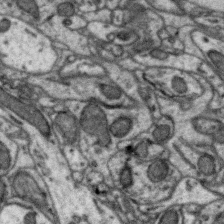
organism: Zebra finch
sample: Brain